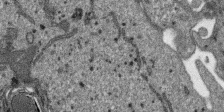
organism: Human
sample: Lung epithelial cells infected with SARS-CoV-2